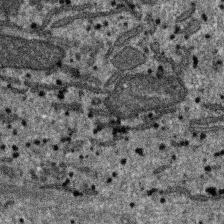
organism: Human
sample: Lung epithelial cells infected with SARS-CoV-2